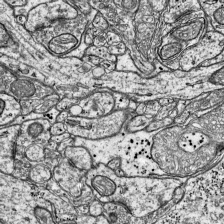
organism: Mouse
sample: Visual Cortex